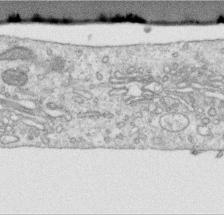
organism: Human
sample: Centriole in RPE cells